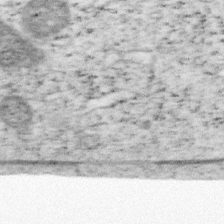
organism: Mouse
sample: OT-I killer T cells with ID8 ovarian cancer cells